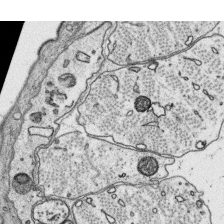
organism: Platynereis dumerilii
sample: Parapodia